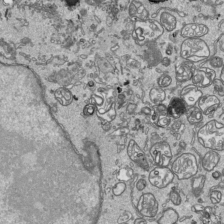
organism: Human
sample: Mitochondria in HCT116 cells